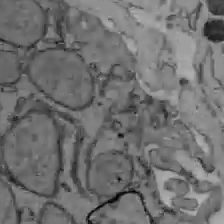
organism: C57BL Mouse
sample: Liver